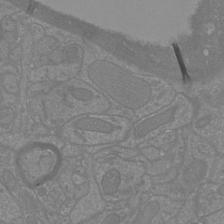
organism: Mouse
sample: Cortical neurons